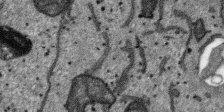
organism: Human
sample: Lung epithelial cells, uninfected (mock) control